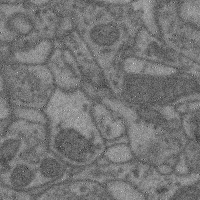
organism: Mouse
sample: Cerebral cortex